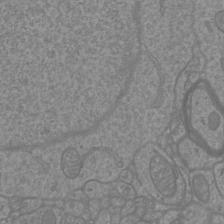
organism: Mouse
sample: Cortical neurons